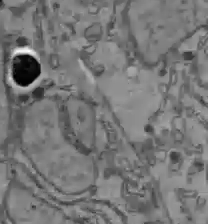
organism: C57BL Mouse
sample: Liver